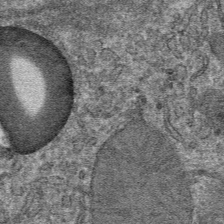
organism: Mouse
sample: Mouse hepatocytes